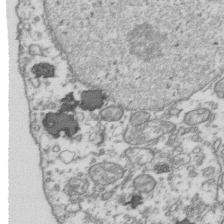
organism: Human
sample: Activated Jurkat CD4+ T cells